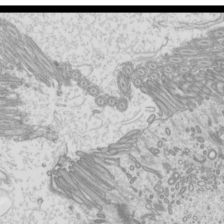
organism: Mouse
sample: Cilia; mouse epididymis